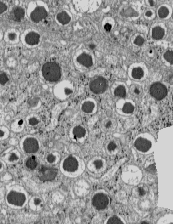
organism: C57BL Mouse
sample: Pancreatic islet